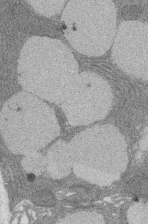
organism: Rat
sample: Salivary granule